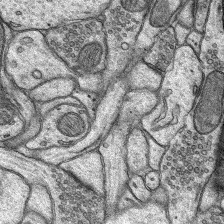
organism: Rat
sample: Hippocampus